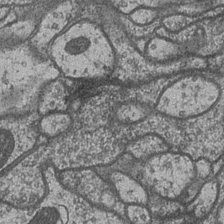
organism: Drosophila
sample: Optic medulla